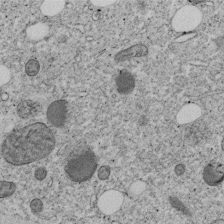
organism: C. elegans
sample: C. elegans embryo early stage